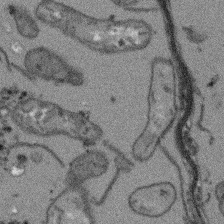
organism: Arabidopsis thaliana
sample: Root tip